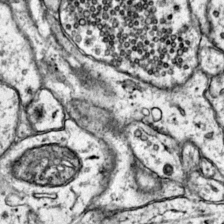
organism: Mouse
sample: Primary visual cortex